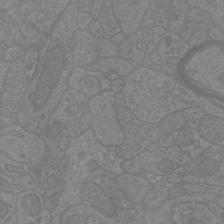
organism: Mouse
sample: Cortical neurons